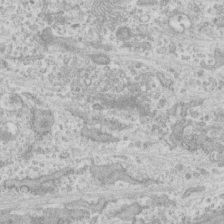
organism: Human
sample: CRL-1474